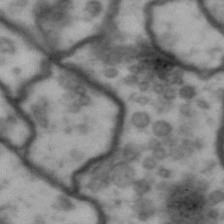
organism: Drosophila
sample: Brain